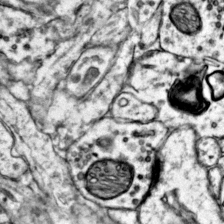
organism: Mouse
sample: Primary visual cortex